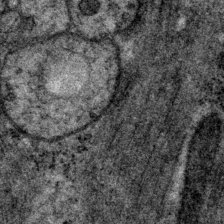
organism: P. pacificus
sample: Pharynx